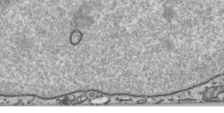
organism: Human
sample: Mitochondria in HCT116 cells